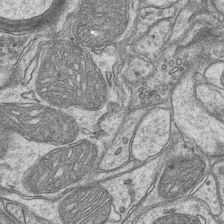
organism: Mouse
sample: CA1 Hippocampus